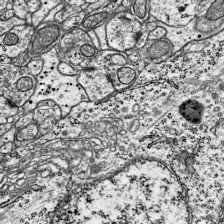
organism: Mouse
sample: Visual Cortex